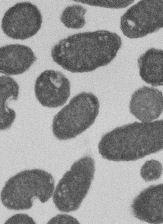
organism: E. coli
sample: Bacterial nucleoid